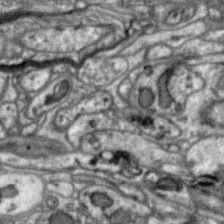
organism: Zebra finch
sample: Brain